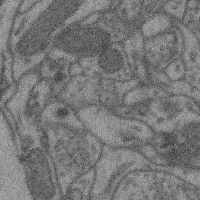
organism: Mouse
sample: Cerebral cortex